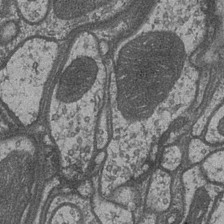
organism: Drosophila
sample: Optic medulla